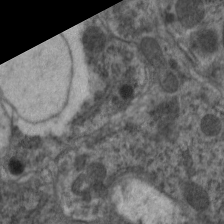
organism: C. elegans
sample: Pharynx